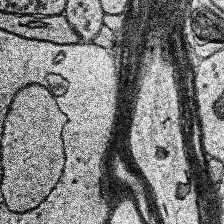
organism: Human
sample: Temporal Lobe